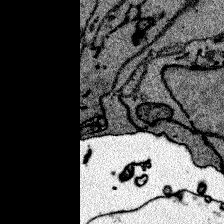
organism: Zebrafish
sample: Larval olfactory bulb